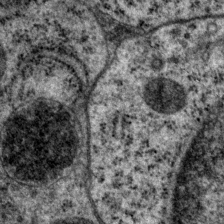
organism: P. pacificus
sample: Pharynx